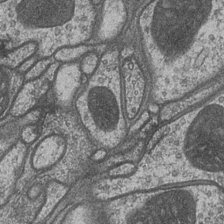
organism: Drosophila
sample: Optic medulla